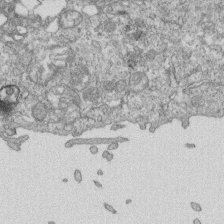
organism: Human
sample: HeLa cell HIV synapse